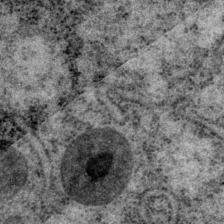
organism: P. pacificus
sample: Pharynx